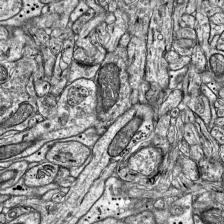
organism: Mouse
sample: Visual Cortex